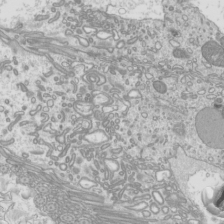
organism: Mouse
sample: Cilia; mouse epididymis